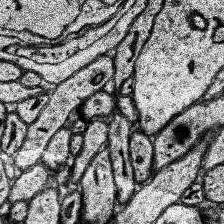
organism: Human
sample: Temporal Lobe